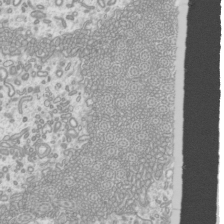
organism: Mouse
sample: Cilia; mouse epididymis